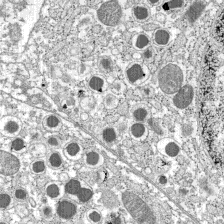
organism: C57BL Mouse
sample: Pancreatic islet